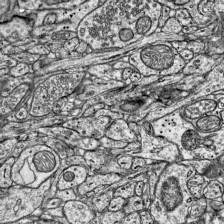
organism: Mouse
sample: Visual Cortex